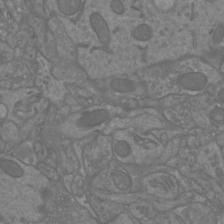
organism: Mouse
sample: Cortical neurons